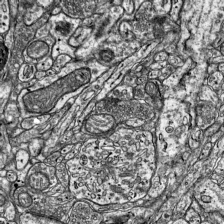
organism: Mouse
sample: Visual Cortex